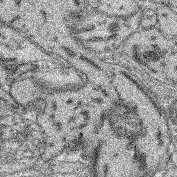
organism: Mouse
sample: Retina